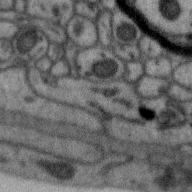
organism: Zebra finch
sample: Brain